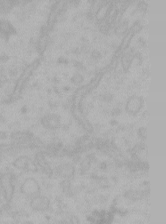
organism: Mouse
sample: Choroid plexus